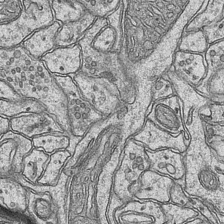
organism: Mouse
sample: CA1 Hippocampus